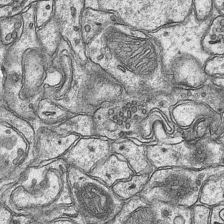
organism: Mouse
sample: CA1 Hippocampus